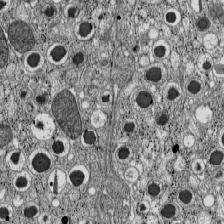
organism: C57BL Mouse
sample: Pancreatic islet